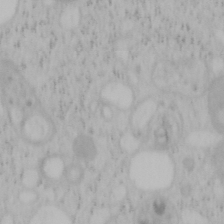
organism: Mouse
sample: OT-I killer T cells with ID8 ovarian cancer cells